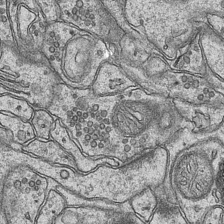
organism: Mouse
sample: CA1 Hippocampus